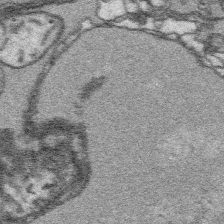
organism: Platynereis dumerilii